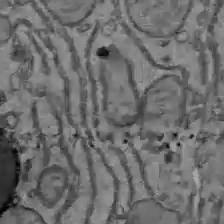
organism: C57BL Mouse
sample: Liver